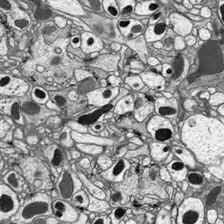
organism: Drosophila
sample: Optic lobe